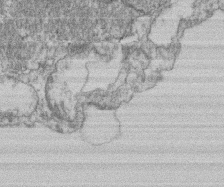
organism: Mouse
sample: T cell stromal cell synapse